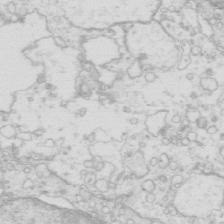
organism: Mouse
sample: Multiciliated cells